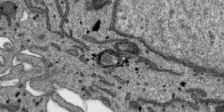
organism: Human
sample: Lung epithelial cells, uninfected (mock) control